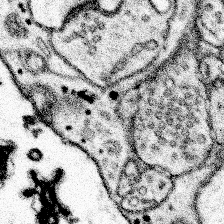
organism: Mouse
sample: Somatosensory cortex neuropil